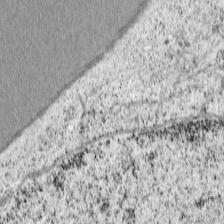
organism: African green monkey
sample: COS-7 cells